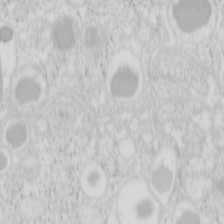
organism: Mouse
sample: Pancreas